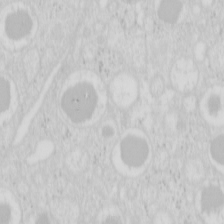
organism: Mouse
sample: Pancreas